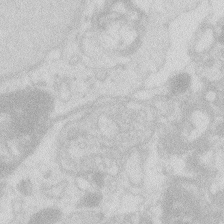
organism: Zebrafish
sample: Macrophage